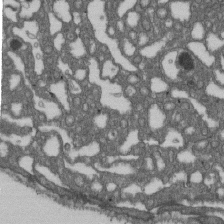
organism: Drosophila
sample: Nephrocyte